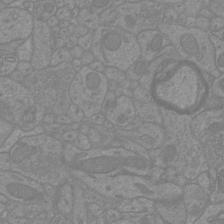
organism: Mouse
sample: Cortical neurons